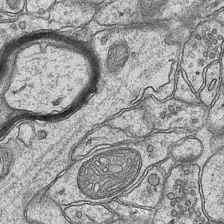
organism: Mouse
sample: CA1 Hippocampus